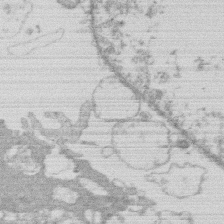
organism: Human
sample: Macrophage cells